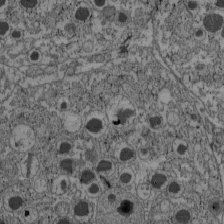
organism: C57BL Mouse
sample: Pancreatic islet